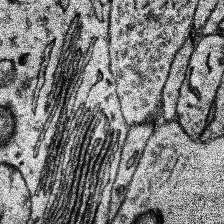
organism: Human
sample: Temporal Lobe